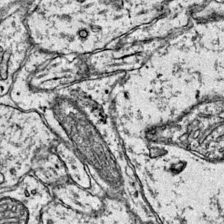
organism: Mouse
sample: Primary visual cortex